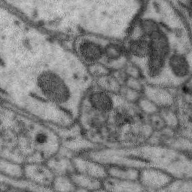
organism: Zebra finch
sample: Brain